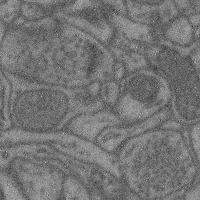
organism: Mouse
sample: Cerebral cortex